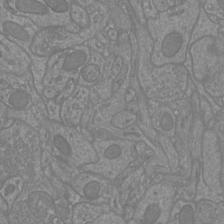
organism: Mouse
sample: Cortical neurons